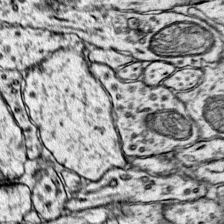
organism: Mouse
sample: Primary visual cortex